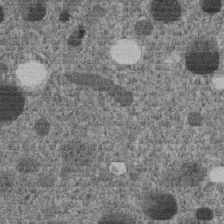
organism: C. elegans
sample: C. elegans embryo early stage